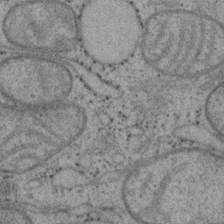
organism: Human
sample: HeLa cells